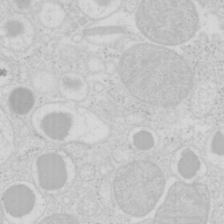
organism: Mouse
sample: Pancreas